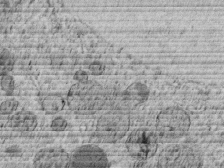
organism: C. elegans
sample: C. elegans embryo early stage